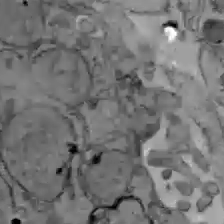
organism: C57BL Mouse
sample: Liver